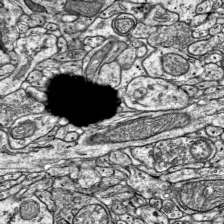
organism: Mouse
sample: Visual Cortex